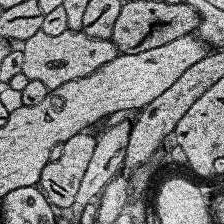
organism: Human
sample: Temporal Lobe